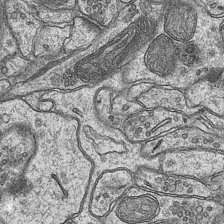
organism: Mouse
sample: CA1 Hippocampus